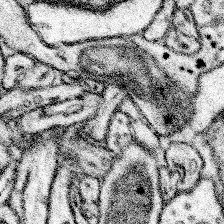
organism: Mouse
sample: Somatosensory cortex neuropil